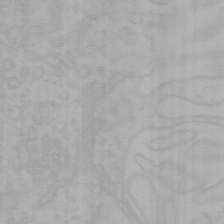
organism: Mouse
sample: Choroid plexus